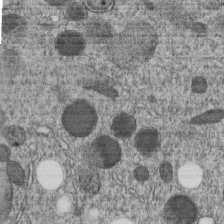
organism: C. elegans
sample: C. elegans embryo early stage